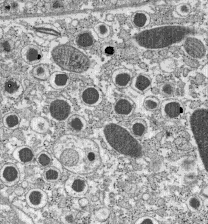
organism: C57BL Mouse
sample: Pancreatic islet